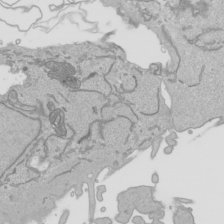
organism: Human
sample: Mitochondria in HCT116 cells